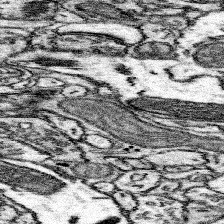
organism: Mouse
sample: Somatosensory cortex neuropil